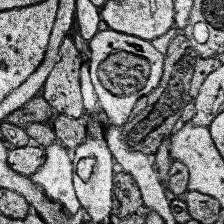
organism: Human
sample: Temporal Lobe